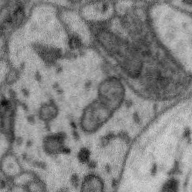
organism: Zebra finch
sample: Brain